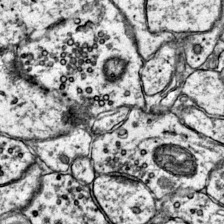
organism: Mouse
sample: Primary visual cortex